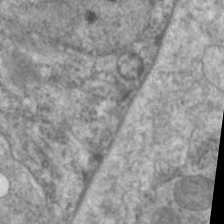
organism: C. elegans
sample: Pharynx